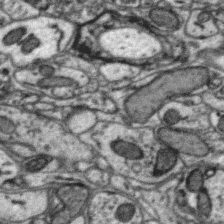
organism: Zebra finch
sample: Brain